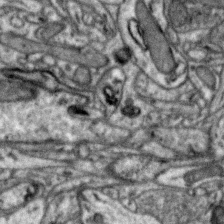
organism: Zebra finch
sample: Brain